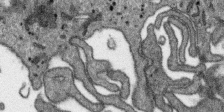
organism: Human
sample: Lung epithelial cells, uninfected (mock) control